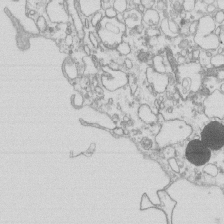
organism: Mouse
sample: Macrophages